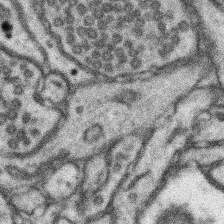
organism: Mouse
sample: Somatosensory cortex neuropil